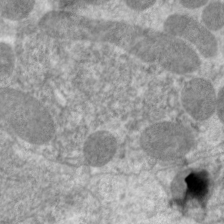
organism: C. elegans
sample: Pharynx